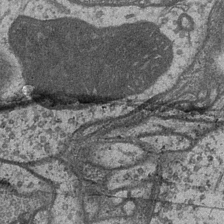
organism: Drosophila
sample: Optic medulla